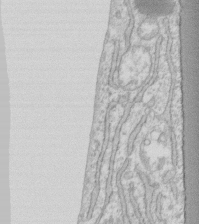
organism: Human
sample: Fibroblast cells